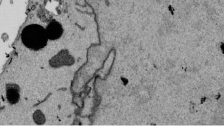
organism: Mouse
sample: ED-1 cell nuclei; centrioles